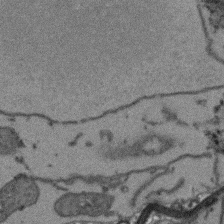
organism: Arabidopsis thaliana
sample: Root tip